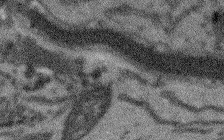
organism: Arabidopsis thaliana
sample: Root tip